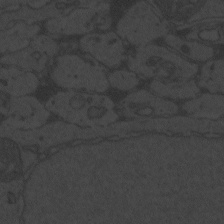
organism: Zebrafish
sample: Macrophage infected with Toxoplasma gondii